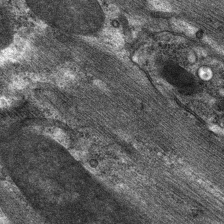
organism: C. elegans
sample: Pharynx